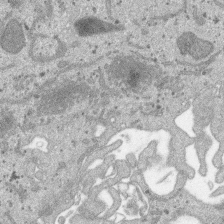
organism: Human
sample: Lung epithelial cells infected with SARS-CoV-2